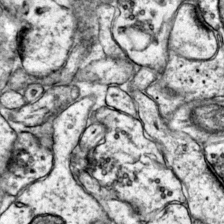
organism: Mouse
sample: Primary visual cortex